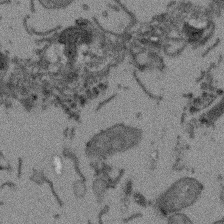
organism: Arabidopsis thaliana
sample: Root tip